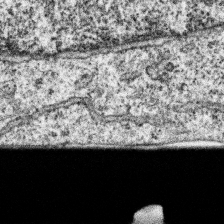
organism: Human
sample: HeLa cells